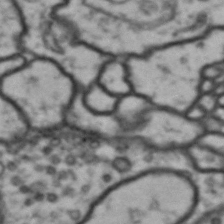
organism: Drosophila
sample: Brain